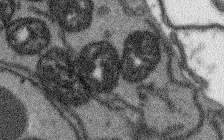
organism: Arabidopsis thaliana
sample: Root tip